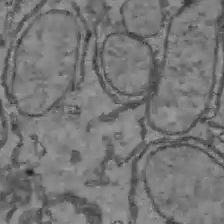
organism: C57BL Mouse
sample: Liver